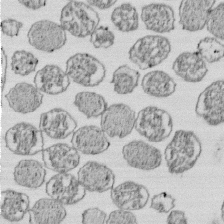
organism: E. coli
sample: Bacterial nucleoid